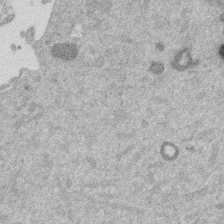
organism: Mouse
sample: Dividing mouse embryo 1 cell stage